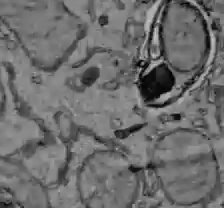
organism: C57BL Mouse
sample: Liver